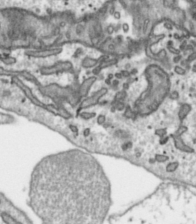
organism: Toxoplasma gondii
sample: Parasites in a vacuole inside a host cell